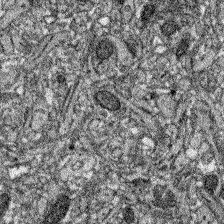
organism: Zebrafish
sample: Larval olfactory bulb